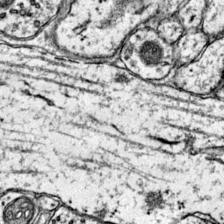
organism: Mouse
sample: Primary visual cortex